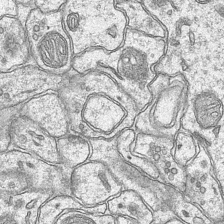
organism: Mouse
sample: CA1 Hippocampus